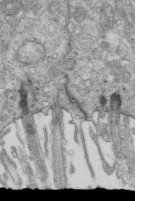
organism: Mouse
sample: Multiciliated cells